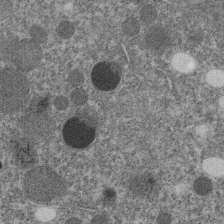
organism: C. elegans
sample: C. elegans embryo early stage